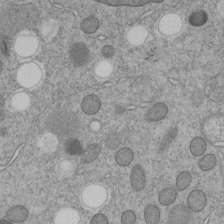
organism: C. elegans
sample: C. elegans embryo early stage